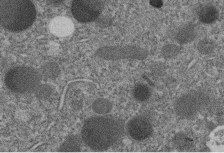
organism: C. elegans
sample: C. elegans embryo early stage